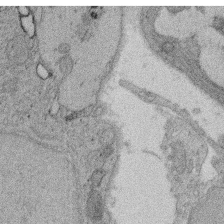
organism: Rat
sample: Salivary granule